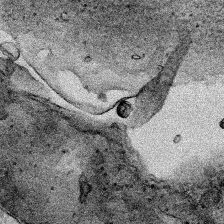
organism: Human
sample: Mitochondria in HCT116 cells